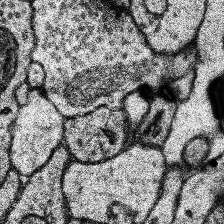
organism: Human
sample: Temporal Lobe